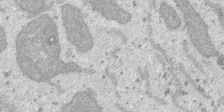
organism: Human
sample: Lung epithelial cells infected with SARS-CoV-2